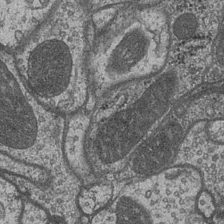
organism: Drosophila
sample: Optic medulla